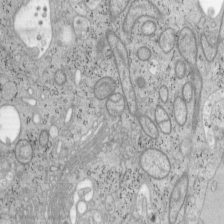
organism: Mouse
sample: OT-I killer T cells with ID8 ovarian cancer cells